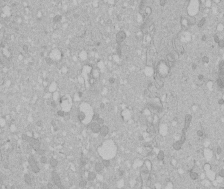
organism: Human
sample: Melanocyte Keratinocyte synapse skin construct